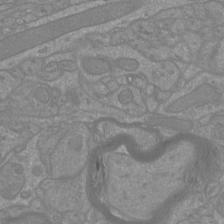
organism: Mouse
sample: Cortical neurons